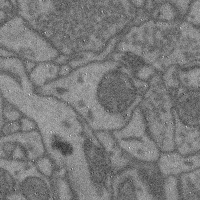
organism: Mouse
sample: Cerebral cortex